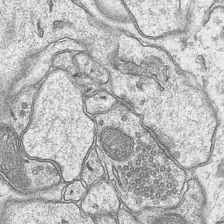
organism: Mouse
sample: CA1 Hippocampus